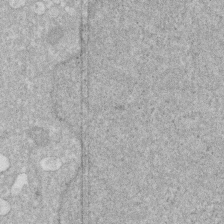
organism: Human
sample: HIV infected U937 cells